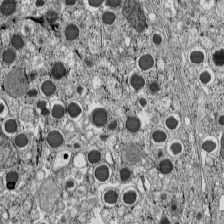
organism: C57BL Mouse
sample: Pancreatic islet